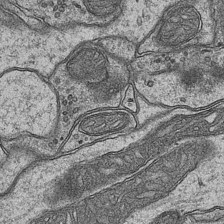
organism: Mouse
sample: CA1 Hippocampus